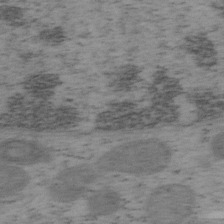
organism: Mouse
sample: OT-I killer T cells with ID8 ovarian cancer cells